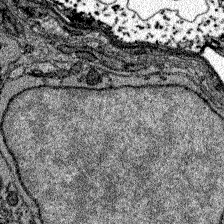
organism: Zebrafish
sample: Larval olfactory bulb